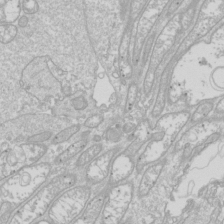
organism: Drosophila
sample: Cell division; meiosis; drosophila spermatocytes